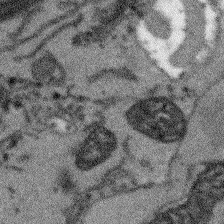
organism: Arabidopsis thaliana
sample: Root tip